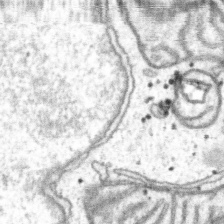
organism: Human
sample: HeLa cells